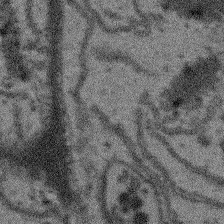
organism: Arabidopsis thaliana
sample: Root tip